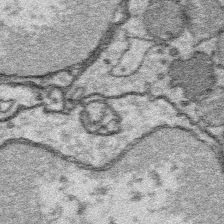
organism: Platynereis dumerilii